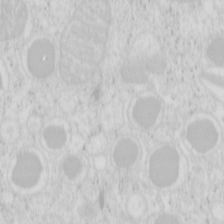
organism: Mouse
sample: Pancreas